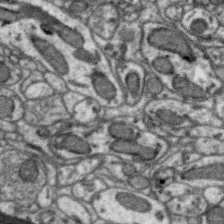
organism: Zebra finch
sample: Brain